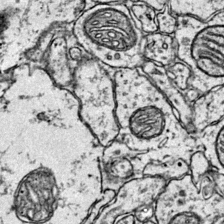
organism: Mouse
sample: Primary visual cortex